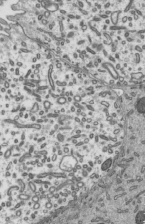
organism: Mouse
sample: Mouse epididymis efferent ductule cilia